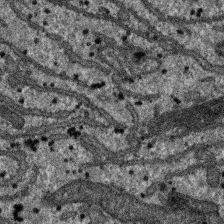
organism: Human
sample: Lung epithelial cells infected with SARS-CoV-2